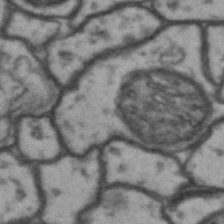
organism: Drosophila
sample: Brain